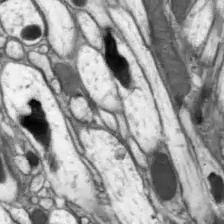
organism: Drosophila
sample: Optic lobe